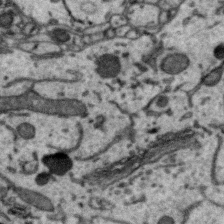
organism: Zebra finch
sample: Brain